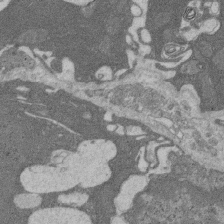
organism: Rat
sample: Salivary granule